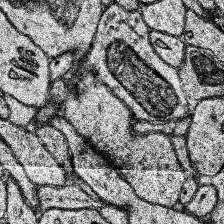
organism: Human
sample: Temporal Lobe